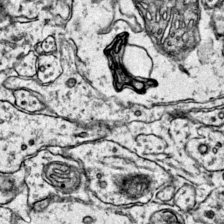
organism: Mouse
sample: Primary visual cortex